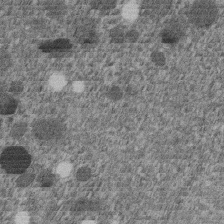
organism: C. elegans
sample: C. elegans embryo early stage